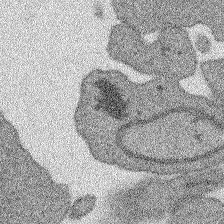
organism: Human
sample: HeLa cells